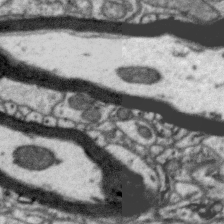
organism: Zebra finch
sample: Brain